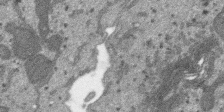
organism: Human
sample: Lung epithelial cells infected with SARS-CoV-2